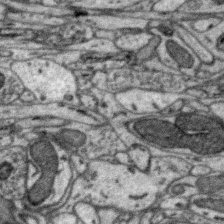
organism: Zebra finch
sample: Brain